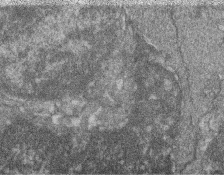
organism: Zebrafish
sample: Cilia; retinal pigment epithelium